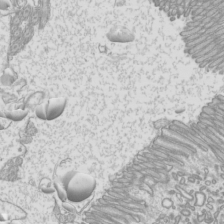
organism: Mouse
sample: Cilia; mouse epididymis